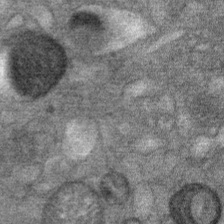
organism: Mouse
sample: Mouse Salivary gland